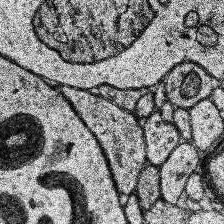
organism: Human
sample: Temporal Lobe